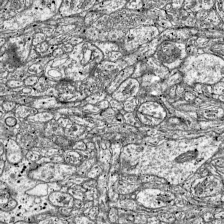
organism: Mouse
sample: Visual Cortex